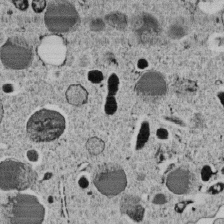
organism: C. elegans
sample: C. elegans embryo early stage